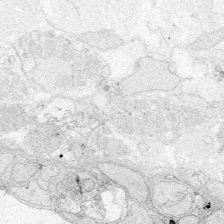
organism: Zebrafish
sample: Whole-Brain